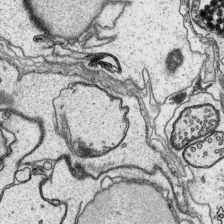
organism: Platynereis dumerilii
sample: Parapodia